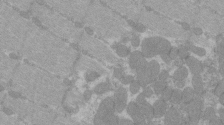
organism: C57BL Mouse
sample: Tibialis anterior muscle cell